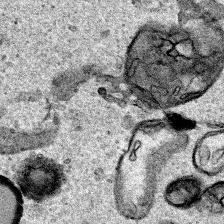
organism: Human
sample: Mitochondria in HCT116 cells